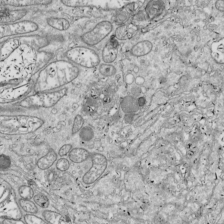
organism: Drosophila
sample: Cell division; meiosis; drosophila spermatocytes